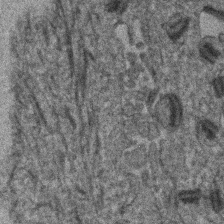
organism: Human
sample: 1205lu cells